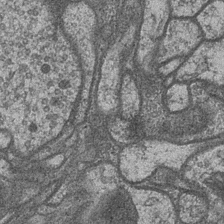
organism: Drosophila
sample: Optic medulla